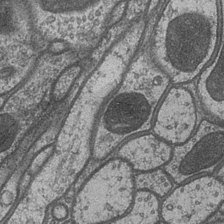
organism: Drosophila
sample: Optic medulla